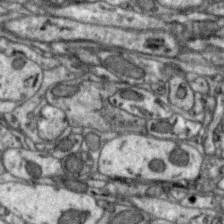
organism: Zebra finch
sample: Brain